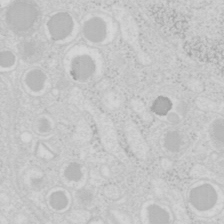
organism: Mouse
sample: Pancreas